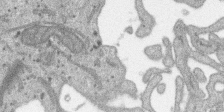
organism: Human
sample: Lung epithelial cells infected with SARS-CoV-2